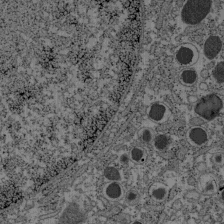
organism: C57BL Mouse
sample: Pancreatic islet